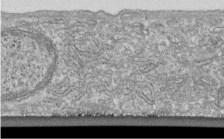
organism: Human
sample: Centriole in fibroblast cells